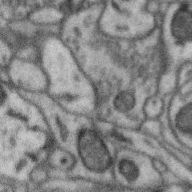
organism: Zebra finch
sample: Brain